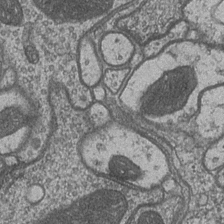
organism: Drosophila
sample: Optic medulla